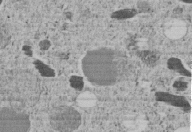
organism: C. elegans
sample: C. elegans embryo early stage